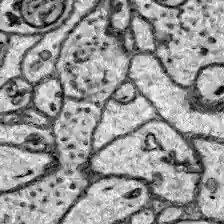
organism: Zebrafish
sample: Brain